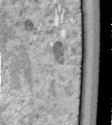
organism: Human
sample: Centriole in RPE cells